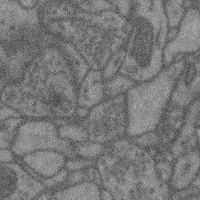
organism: Mouse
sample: Cerebral cortex